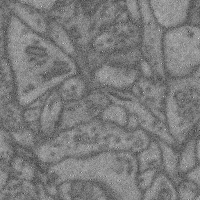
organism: Mouse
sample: Cerebral cortex